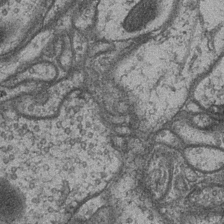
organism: Drosophila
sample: Optic medulla